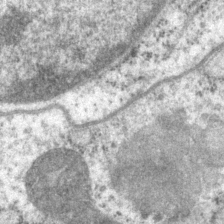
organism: P. pacificus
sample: Pharynx